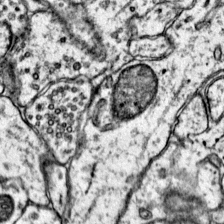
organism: Mouse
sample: Primary visual cortex